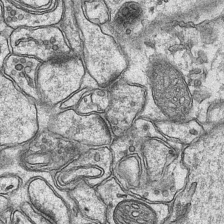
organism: Mouse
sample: CA1 Hippocampus